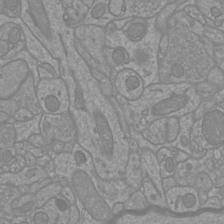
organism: Mouse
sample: Cortical neurons